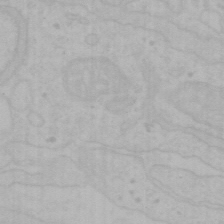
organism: Mouse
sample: Choroid plexus